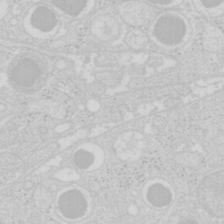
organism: Mouse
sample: Pancreas